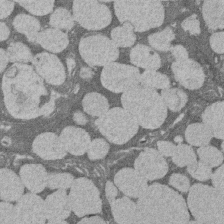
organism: Rat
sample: Salivary granule